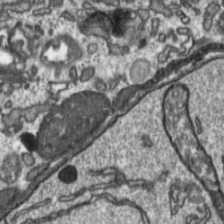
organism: Toxoplasma gondii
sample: Parasites in a vacuole inside a host cell